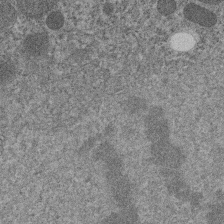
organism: C. elegans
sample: C. elegans embryo early stage